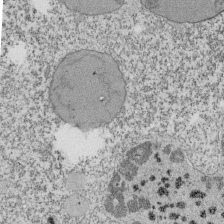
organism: Tetrahymena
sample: Cilia in tetrahymena